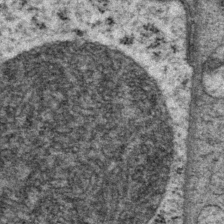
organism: P. pacificus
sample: Pharynx